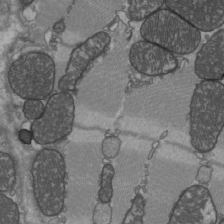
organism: C57BL Mouse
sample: Heart